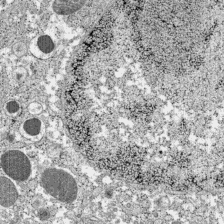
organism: C57BL Mouse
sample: Pancreatic islet